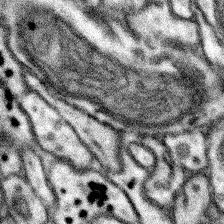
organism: Mouse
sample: Somatosensory cortex neuropil